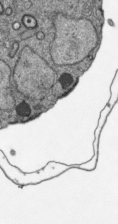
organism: Plasmodium falciparum